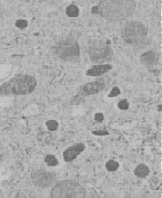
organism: C. elegans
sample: C. elegans embryo early stage